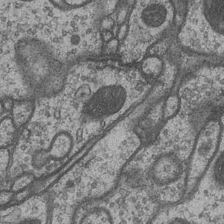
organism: Drosophila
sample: Optic medulla